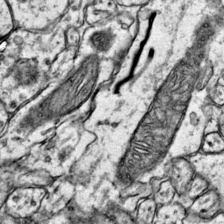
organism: Mouse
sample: Primary visual cortex